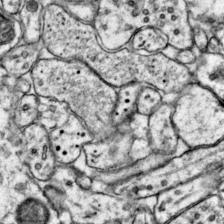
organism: Mouse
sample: Primary visual cortex